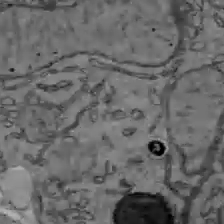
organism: C57BL Mouse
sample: Liver